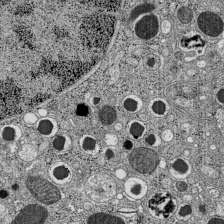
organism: C57BL Mouse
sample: Pancreatic islet